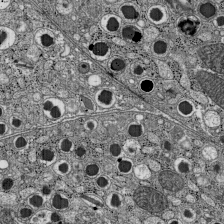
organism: C57BL Mouse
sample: Pancreatic islet